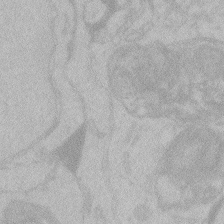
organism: Zebrafish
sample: Macrophage infected with Toxoplasma gondii